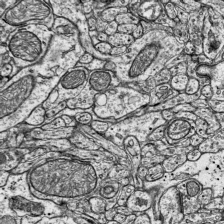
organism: Mouse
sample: Visual Cortex